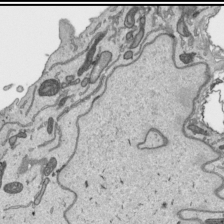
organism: Human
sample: Mitochondria in HCT116 cells